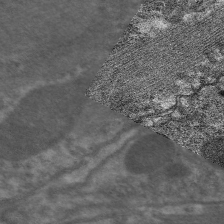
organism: C. elegans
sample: Pharynx